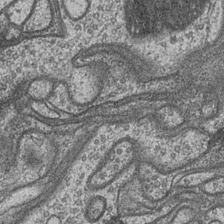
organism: Drosophila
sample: Optic medulla